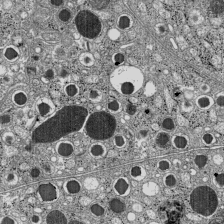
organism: C57BL Mouse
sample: Pancreatic islet